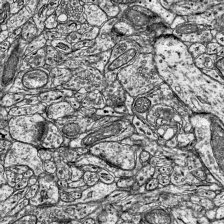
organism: Mouse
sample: Visual Cortex